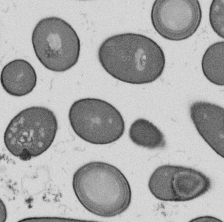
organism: B. subtilis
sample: Bacterial spore